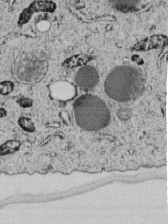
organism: C. elegans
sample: C. elegans embryo early stage